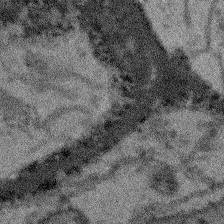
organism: Arabidopsis thaliana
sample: Root tip